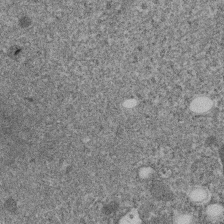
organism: C. elegans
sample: C. elegans embryo early stage